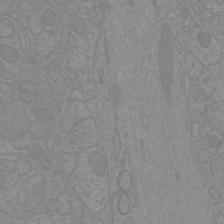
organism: Mouse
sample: Cortical neurons